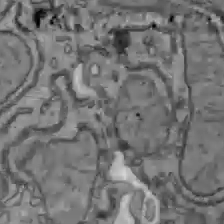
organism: C57BL Mouse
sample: Liver